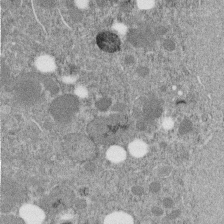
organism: C. elegans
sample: C. elegans embryo early stage